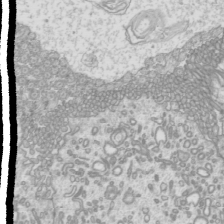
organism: Mouse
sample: Cilia; mouse epididymis